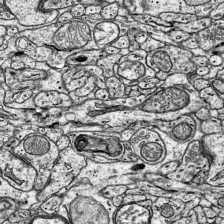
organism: Mouse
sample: Visual Cortex